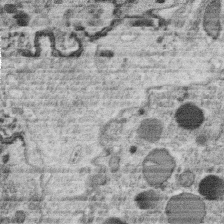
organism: C. elegans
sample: C. elegans oocyte; sperm cells